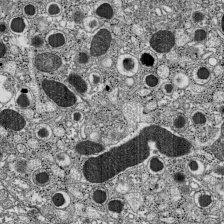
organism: C57BL Mouse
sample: Pancreatic islet